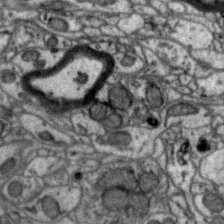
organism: Zebra finch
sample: Brain